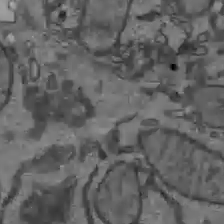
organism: C57BL Mouse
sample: Liver